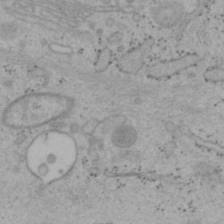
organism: Human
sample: HeLa cells